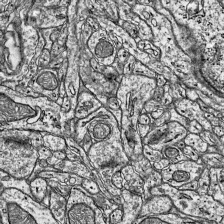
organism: Mouse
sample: Visual Cortex